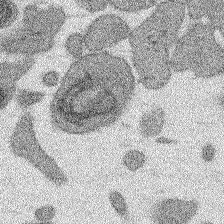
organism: Human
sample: HeLa cells